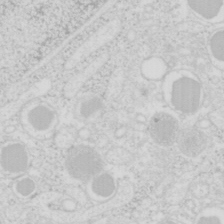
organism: Mouse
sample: Pancreas